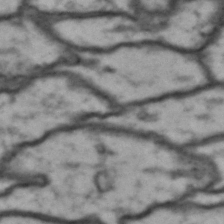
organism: Drosophila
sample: Brain